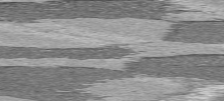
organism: C57BL Mouse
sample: Heart